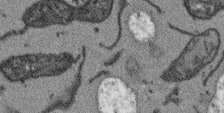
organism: Arabidopsis thaliana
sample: Root tip